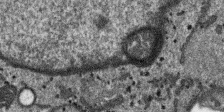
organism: Human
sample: Lung epithelial cells infected with SARS-CoV-2